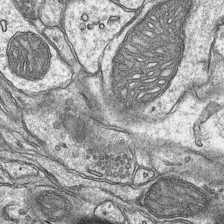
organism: Mouse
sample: CA1 Hippocampus